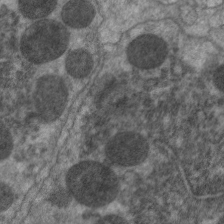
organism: C. elegans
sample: Pharynx